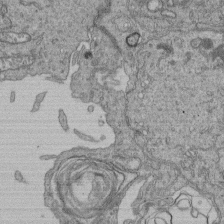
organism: Human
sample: Retinal organoid Rod and Cone cells